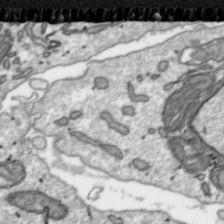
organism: Toxoplasma gondii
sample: Parasites in a vacuole inside a host cell